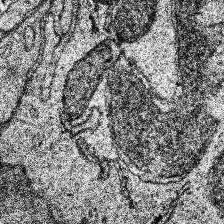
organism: Human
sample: Temporal Lobe